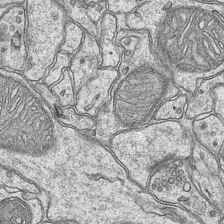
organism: Mouse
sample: CA1 Hippocampus